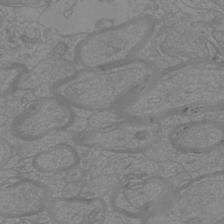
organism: Mouse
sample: Cortical neurons